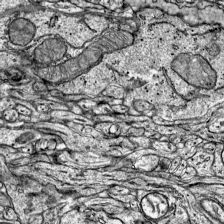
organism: Mouse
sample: Visual Cortex